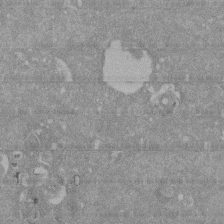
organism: Mouse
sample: ED-1 cell nuclei; centrioles